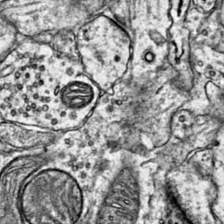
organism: Mouse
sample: Primary visual cortex